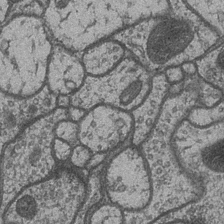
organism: Drosophila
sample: Optic medulla